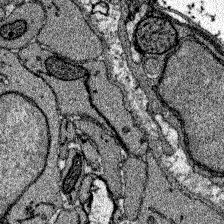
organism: Zebrafish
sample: Larval olfactory bulb